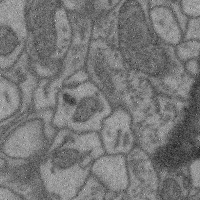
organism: Mouse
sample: Cerebral cortex